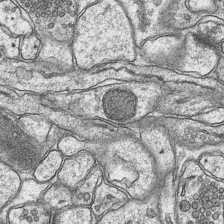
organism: Mouse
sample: CA1 Hippocampus